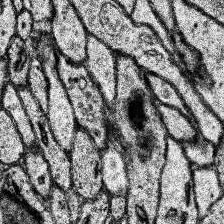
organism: Human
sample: Temporal Lobe